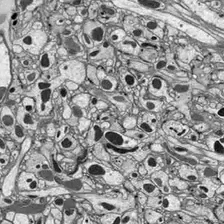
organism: Drosophila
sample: Optic lobe